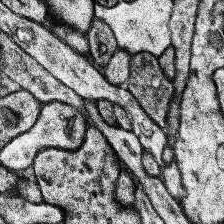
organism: Human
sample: Temporal Lobe